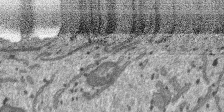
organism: Human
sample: Lung epithelial cells infected with SARS-CoV-2